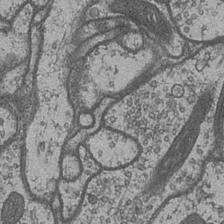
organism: Drosophila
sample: Optic medulla